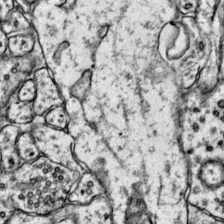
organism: Mouse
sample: Primary visual cortex